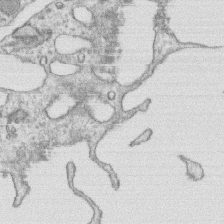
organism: Human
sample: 1205lu cells